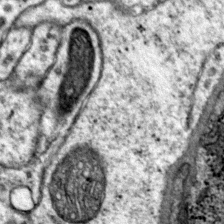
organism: Mouse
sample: Primary visual cortex